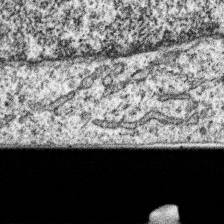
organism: Human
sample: HeLa cells